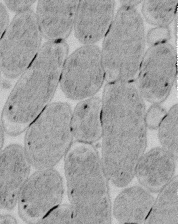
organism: E. coli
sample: Bacterial nucleoid